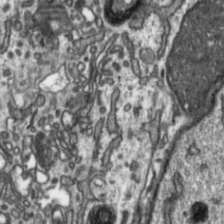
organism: Toxoplasma gondii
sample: Parasites in a vacuole inside a host cell